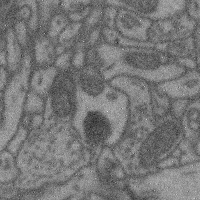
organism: Mouse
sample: Cerebral cortex